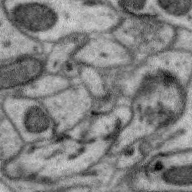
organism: Zebra finch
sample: Brain